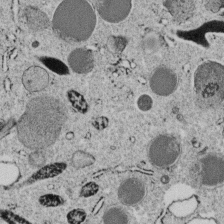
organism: C. elegans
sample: C. elegans embryo early stage